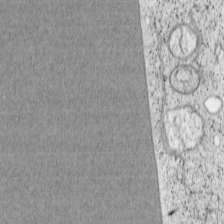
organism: African green monkey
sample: COS-7 cells